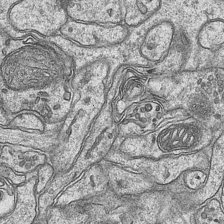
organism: Mouse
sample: CA1 Hippocampus